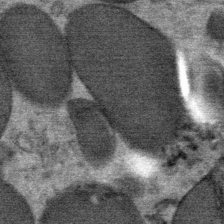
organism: Mouse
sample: Mouse Salivary gland